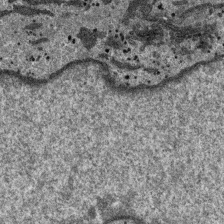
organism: Human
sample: Lung epithelial cells, uninfected (mock) control